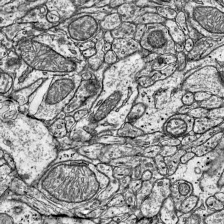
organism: Mouse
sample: Visual Cortex